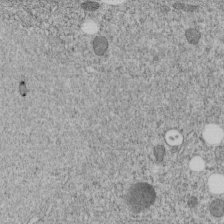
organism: C. elegans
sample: C. elegans embryo early stage